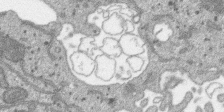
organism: Human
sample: Lung epithelial cells infected with SARS-CoV-2